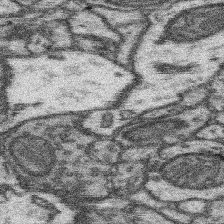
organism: Mouse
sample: Somatosensory cortex neuropil